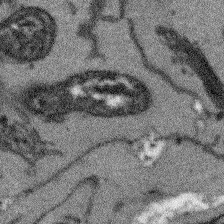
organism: Arabidopsis thaliana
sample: Root tip